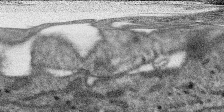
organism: Human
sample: Lung epithelial cells infected with SARS-CoV-2